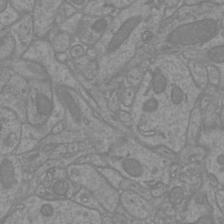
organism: Mouse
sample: Cortical neurons